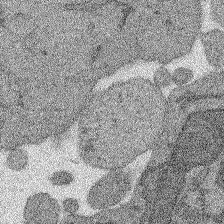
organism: Human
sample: HeLa cells